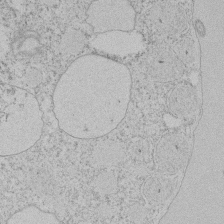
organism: Tetrahymena